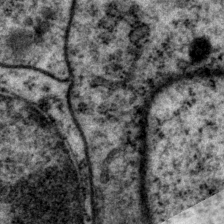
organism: P. pacificus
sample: Pharynx